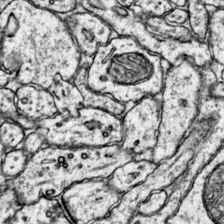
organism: Mouse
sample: Primary visual cortex